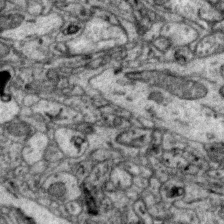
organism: Zebra finch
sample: Brain